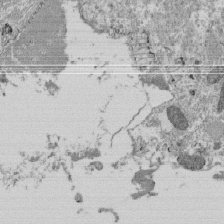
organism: Tetrahymena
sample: Cilia in tetrahymena